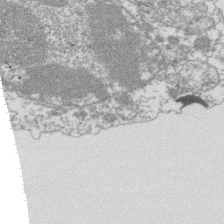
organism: Human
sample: HeLa cell HIV synapse